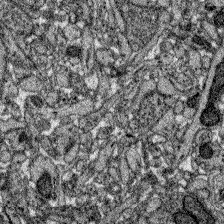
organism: Zebrafish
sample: Larval olfactory bulb